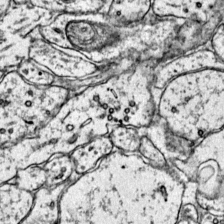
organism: Mouse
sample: Primary visual cortex